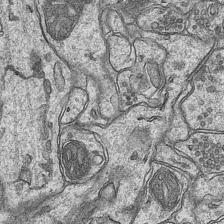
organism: Mouse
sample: CA1 Hippocampus